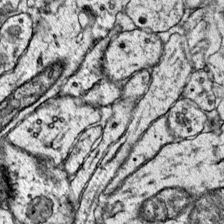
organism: Mouse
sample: Primary visual cortex